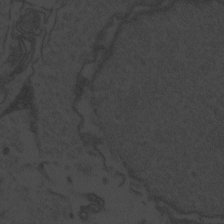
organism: Zebrafish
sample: Macrophage infected with Toxoplasma gondii